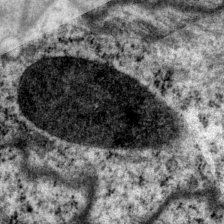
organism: P. pacificus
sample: Pharynx